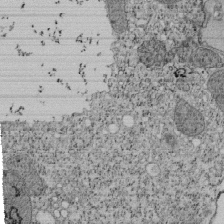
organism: Tetrahymena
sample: Cilia in tetrahymena